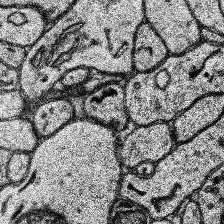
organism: Human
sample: Temporal Lobe